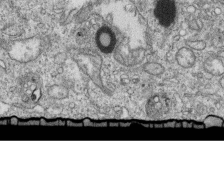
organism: Human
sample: HeLa cell HIV synapse